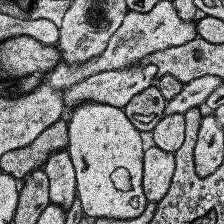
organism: Human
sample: Temporal Lobe